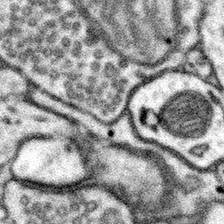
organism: Mouse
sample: Somatosensory cortex neuropil